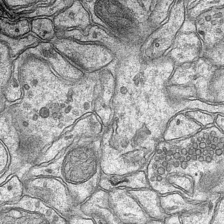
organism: Mouse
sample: CA1 Hippocampus